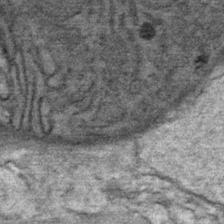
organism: Mouse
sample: Mouse Salivary gland